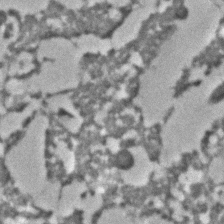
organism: C. elegans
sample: C. elegans embryo